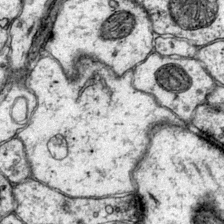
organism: Mouse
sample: Primary visual cortex